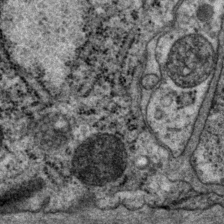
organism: P. pacificus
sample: Pharynx